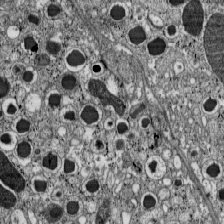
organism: C57BL Mouse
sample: Pancreatic islet